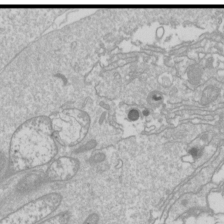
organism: Drosophila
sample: Cell division; meiosis; drosophila spermatocytes